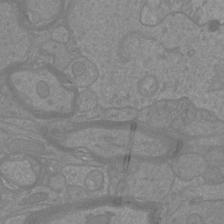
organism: Mouse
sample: Cortical neurons